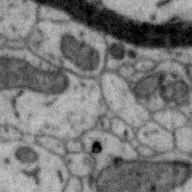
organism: Zebra finch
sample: Brain